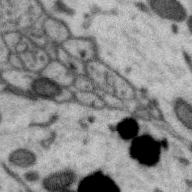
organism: Zebra finch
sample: Brain